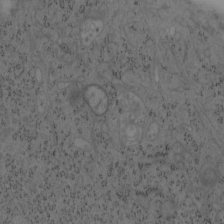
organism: Mouse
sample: OT-I killer T cells with ID8 ovarian cancer cells